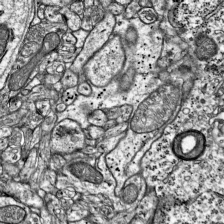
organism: Mouse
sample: Visual Cortex